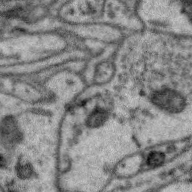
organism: Zebra finch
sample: Brain